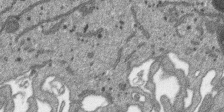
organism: Human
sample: Lung epithelial cells infected with SARS-CoV-2